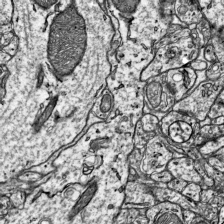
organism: Mouse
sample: Visual Cortex